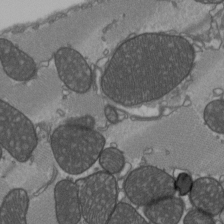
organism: C57BL Mouse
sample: Heart